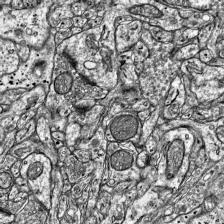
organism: Mouse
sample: Visual Cortex